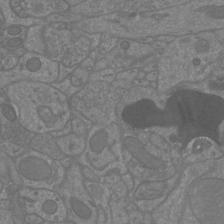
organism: Mouse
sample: Cortical neurons